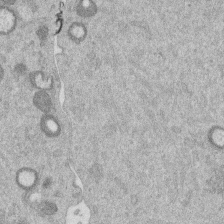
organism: Mouse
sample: Dividing mouse embryo 1 cell stage